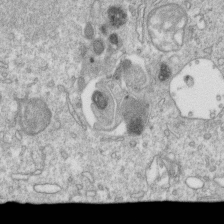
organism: Mouse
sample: Activated OT-1 CD8+ T cells